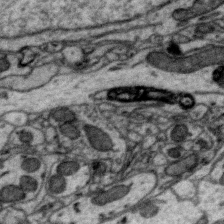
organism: Zebra finch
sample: Brain